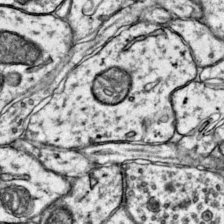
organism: Mouse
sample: Primary visual cortex